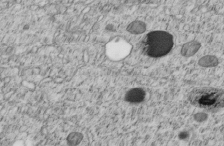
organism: C. elegans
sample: C. elegans embryo early stage